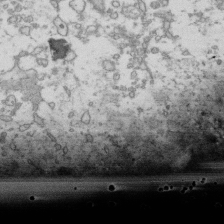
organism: Human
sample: Activated Jurkat CD4+ T cells